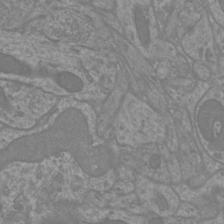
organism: Mouse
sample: Cortical neurons